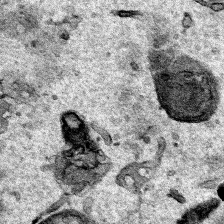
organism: Human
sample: Mitochondria in HCT116 cells